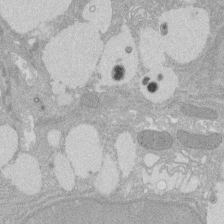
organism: Rat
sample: Salivary granule